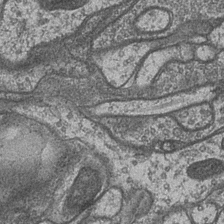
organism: Drosophila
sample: Optic medulla